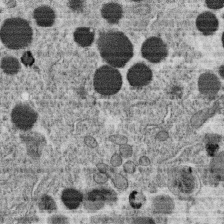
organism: C. elegans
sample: C. elegans oocyte; sperm cells